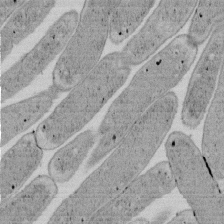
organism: E. coli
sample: Bacterial nucleoid